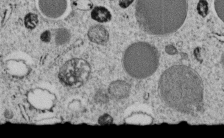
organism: C. elegans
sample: C. elegans embryo early stage